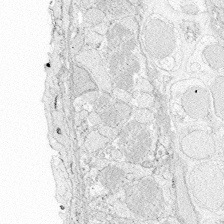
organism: Zebrafish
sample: Whole-Brain